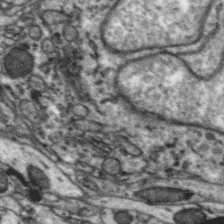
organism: Zebra finch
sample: Brain